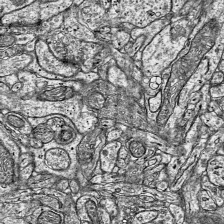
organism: Mouse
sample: Visual Cortex